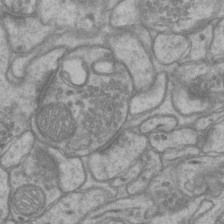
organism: Mouse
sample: CA1 Hippocampus